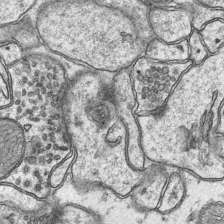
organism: Mouse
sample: CA1 Hippocampus